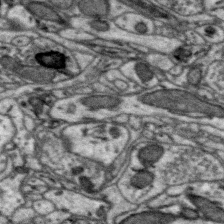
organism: Zebra finch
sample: Brain